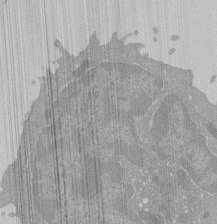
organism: Mouse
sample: Activated Pmel transgenic CD8+ T Cells